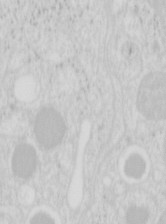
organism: Mouse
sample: Pancreas